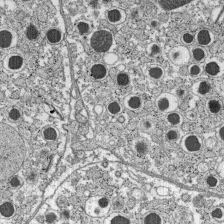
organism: C57BL Mouse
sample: Pancreatic islet